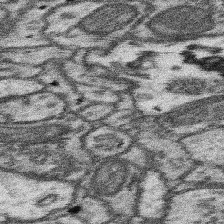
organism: Mouse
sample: Somatosensory cortex neuropil